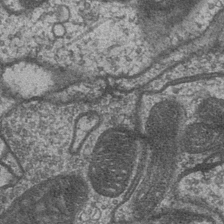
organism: Drosophila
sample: Optic medulla